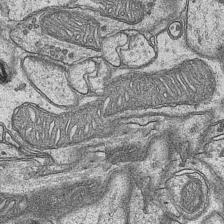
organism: Mouse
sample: CA1 Hippocampus